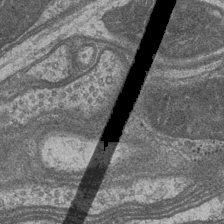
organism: Drosophila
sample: Optic medulla